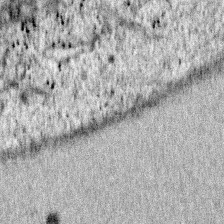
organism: Human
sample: HeLa cells